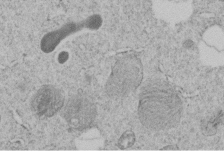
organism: C. elegans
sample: C. elegans embryo early stage